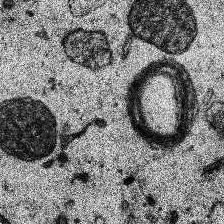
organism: Human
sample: Temporal Lobe